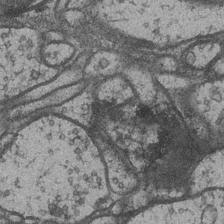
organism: Drosophila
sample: Optic medulla